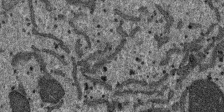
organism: Human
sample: Lung epithelial cells infected with SARS-CoV-2